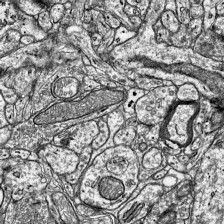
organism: Mouse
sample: Visual Cortex